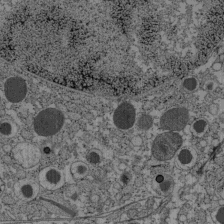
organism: C57BL Mouse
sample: Pancreatic islet